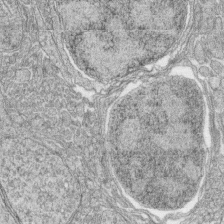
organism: Zebrafish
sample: synaptic ribbons in rod cells and cone cells